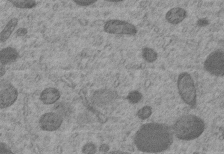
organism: C. elegans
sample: C. elegans embryo early stage